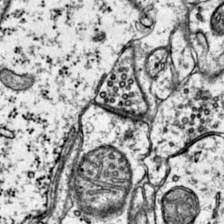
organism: Mouse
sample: Primary visual cortex